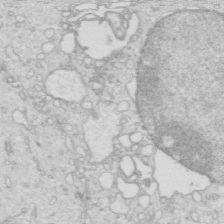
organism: Mouse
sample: Multiciliated cells